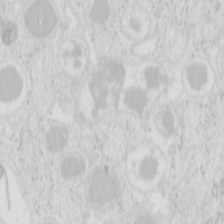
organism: Mouse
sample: Pancreas